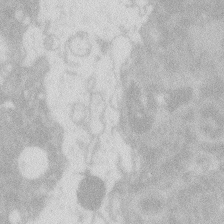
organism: Zebrafish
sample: Macrophage